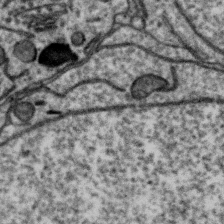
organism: Zebra finch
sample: Brain